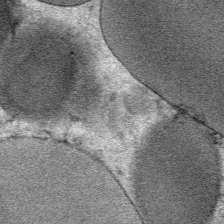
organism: Mouse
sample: Mouse Salivary gland